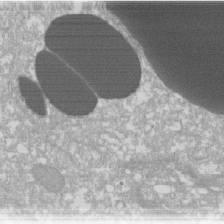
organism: Xenopus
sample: Cilia; centrioles in frog embryo cells